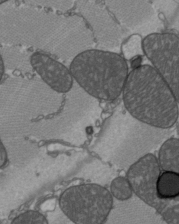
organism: C57BL Mouse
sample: Heart